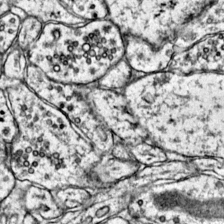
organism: Mouse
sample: Primary visual cortex